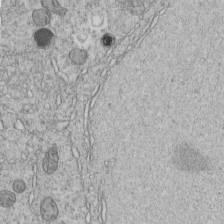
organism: C. elegans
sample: C. elegans embryo early stage